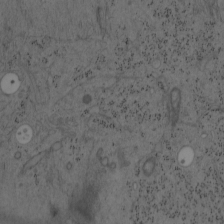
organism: Mouse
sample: OT-I killer T cells with ID8 ovarian cancer cells